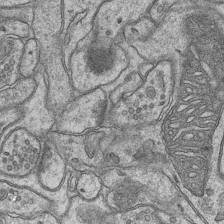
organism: Mouse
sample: CA1 Hippocampus